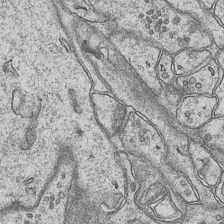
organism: Mouse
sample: CA1 Hippocampus